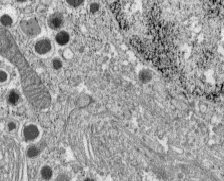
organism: C57BL Mouse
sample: Pancreatic islet